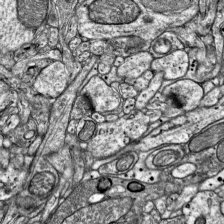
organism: Mouse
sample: Visual Cortex